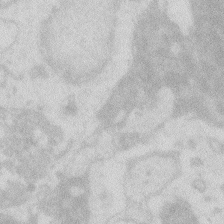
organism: Zebrafish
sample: Macrophage